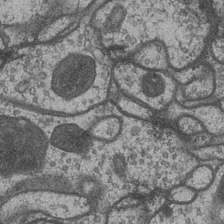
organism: Drosophila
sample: Optic medulla